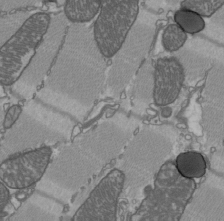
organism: C57BL Mouse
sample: Heart